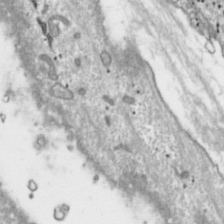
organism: Toxoplasma gondii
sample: Parasites in a vacuole inside a host cell